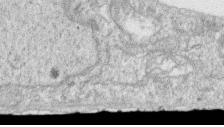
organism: Human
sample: HeLa cell HIV synapse